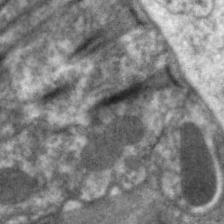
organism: C. elegans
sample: Pharynx